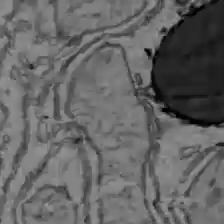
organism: C57BL Mouse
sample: Liver